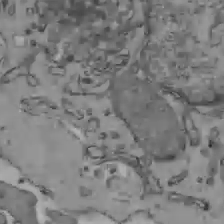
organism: C57BL Mouse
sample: Liver